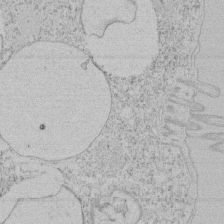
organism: Tetrahymena